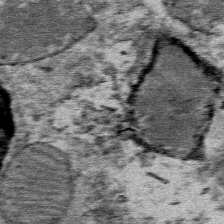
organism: Mouse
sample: Mouse Salivary gland